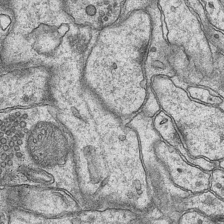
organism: Mouse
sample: CA1 Hippocampus